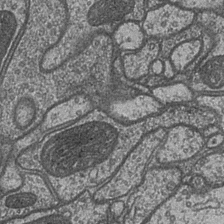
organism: Drosophila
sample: Optic medulla